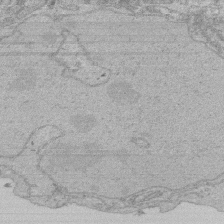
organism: Human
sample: Activated Jurkat CD4+ T cells